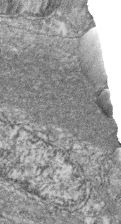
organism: Zebrafish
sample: Cilia; retinal pigment epithelium